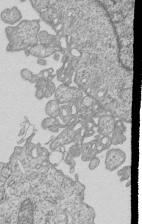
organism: Human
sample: MDA-MB-231 cells